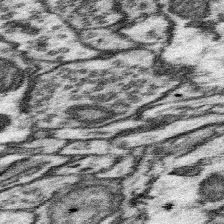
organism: Mouse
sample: Somatosensory cortex neuropil